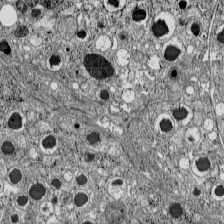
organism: C57BL Mouse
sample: Pancreatic islet